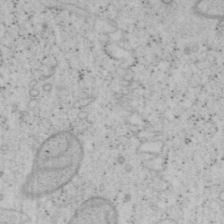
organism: Human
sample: HeLa cells